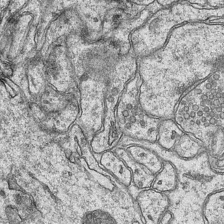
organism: Mouse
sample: CA1 Hippocampus